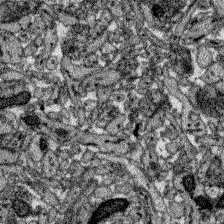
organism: Zebrafish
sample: Larval olfactory bulb